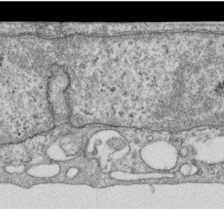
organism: Human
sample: Centriole in RPE cells